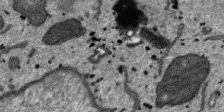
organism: Human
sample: Lung epithelial cells, uninfected (mock) control